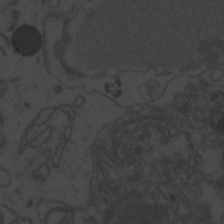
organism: Zebrafish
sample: Macrophage infected with Toxoplasma gondii